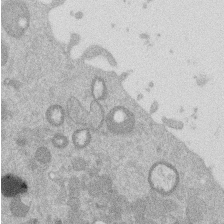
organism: Mouse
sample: Dividing mouse embryo 1 cell stage